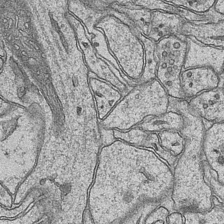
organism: Mouse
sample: CA1 Hippocampus